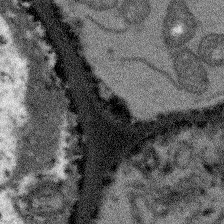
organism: Arabidopsis thaliana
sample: Root tip